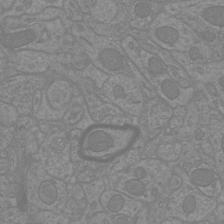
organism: Mouse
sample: Cortical neurons